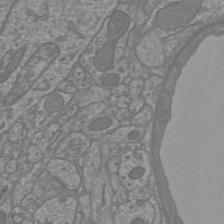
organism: Mouse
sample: Cortical neurons